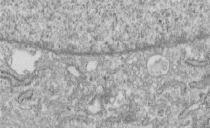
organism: Human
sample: Centriole in fibroblast cells